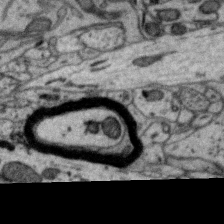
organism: Zebra finch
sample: Brain